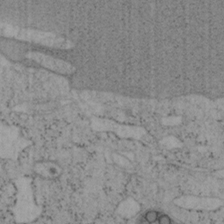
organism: Mouse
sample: OT-I killer T cells with ID8 ovarian cancer cells